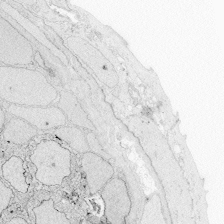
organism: Zebrafish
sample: Whole-Brain